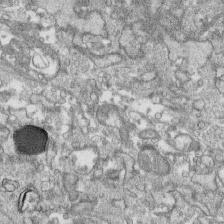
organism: Human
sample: CRL-1474